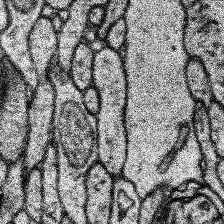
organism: Human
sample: Temporal Lobe